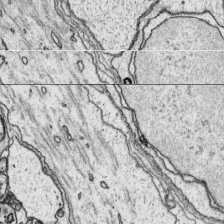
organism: Platynereis dumerilii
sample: Parapodia